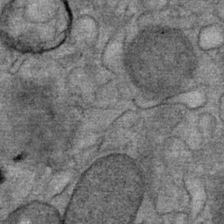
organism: Mouse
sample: Mouse Salivary gland